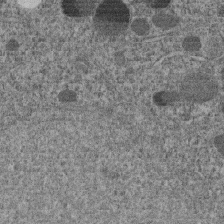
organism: C. elegans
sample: C. elegans embryo early stage